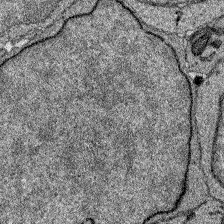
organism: Zebrafish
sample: Larval olfactory bulb